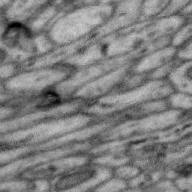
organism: Zebra finch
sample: Brain